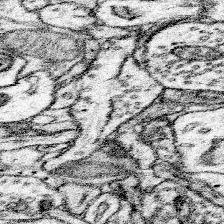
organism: Mouse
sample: Somatosensory cortex neuropil